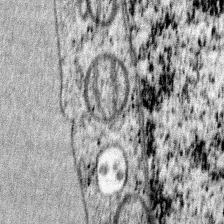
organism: Human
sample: HeLa cells